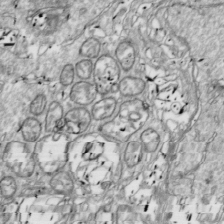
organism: Drosophila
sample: Cell division; meiosis; drosophila spermatocytes